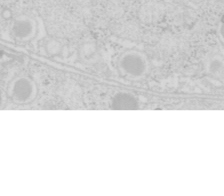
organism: Mouse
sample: Pancreas